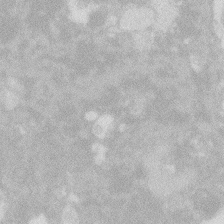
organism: Zebrafish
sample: Macrophage